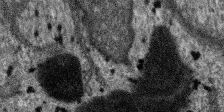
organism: Human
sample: Lung epithelial cells infected with SARS-CoV-2